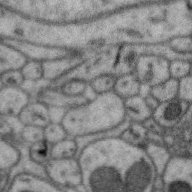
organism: Zebra finch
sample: Brain